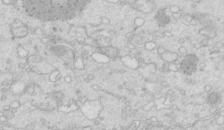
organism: Mouse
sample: Multiciliated cells